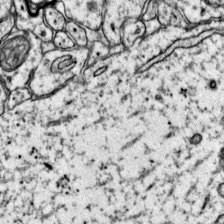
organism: Mouse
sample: Primary visual cortex